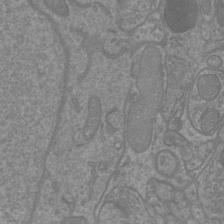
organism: Mouse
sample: Cortical neurons